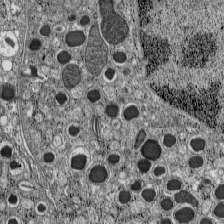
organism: C57BL Mouse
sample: Pancreatic islet